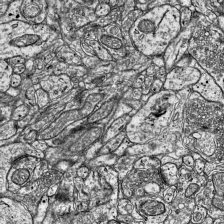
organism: Mouse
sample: Visual Cortex